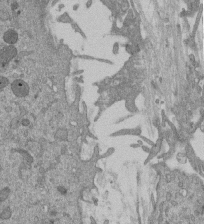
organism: Mouse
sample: ED-1 cell nuclei; centrioles